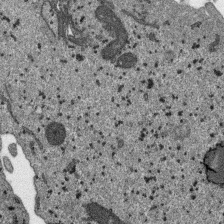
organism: Human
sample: Lung epithelial cells infected with SARS-CoV-2